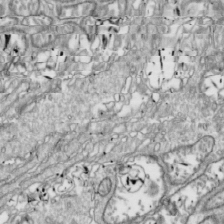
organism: Drosophila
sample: Cell division; meiosis; drosophila spermatocytes